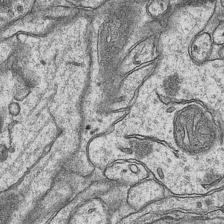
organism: Mouse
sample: CA1 Hippocampus